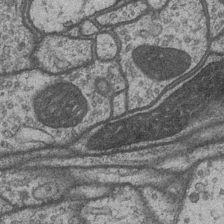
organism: Drosophila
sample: Optic medulla